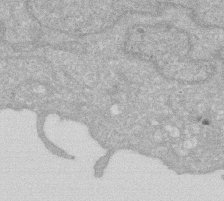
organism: Human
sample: HIV infected U937 cells